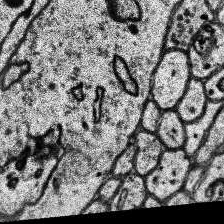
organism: Human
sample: Temporal Lobe